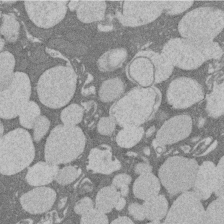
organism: Rat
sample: Salivary granule